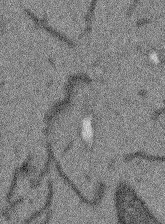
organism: Arabidopsis thaliana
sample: Root tip